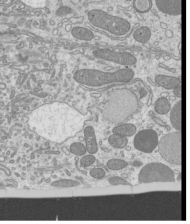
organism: Mouse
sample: Cilia; mouse epididymis